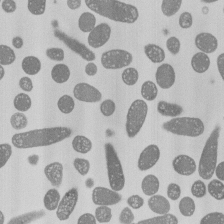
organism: E. coli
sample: Bacterial nucleoid